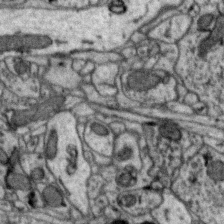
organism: Zebra finch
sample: Brain